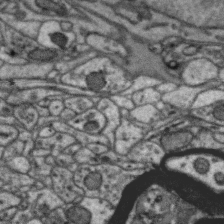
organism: Zebra finch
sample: Brain